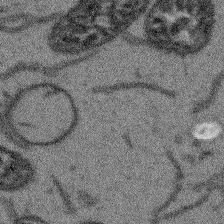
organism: Arabidopsis thaliana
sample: Root tip